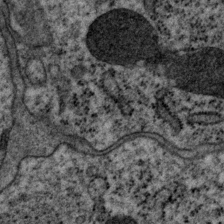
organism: P. pacificus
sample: Pharynx